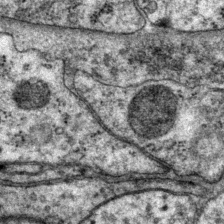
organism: P. pacificus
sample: Pharynx